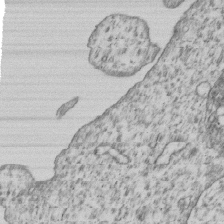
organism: Human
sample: MDA-MB-231 cells